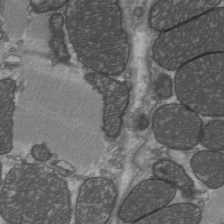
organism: C57BL Mouse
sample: Heart